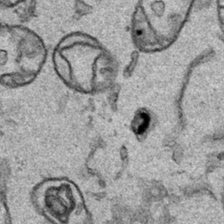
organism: Human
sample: Mitochondria in HCT116 cells